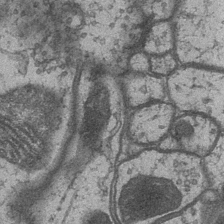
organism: Drosophila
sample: Optic medulla